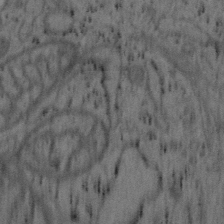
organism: Human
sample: HeLa cells